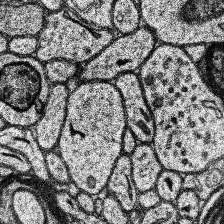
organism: Human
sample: Temporal Lobe